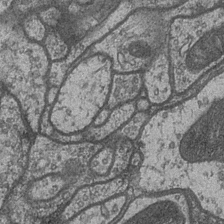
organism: Drosophila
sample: Optic medulla